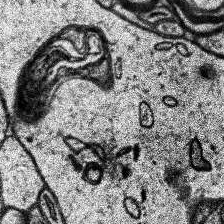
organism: Human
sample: Temporal Lobe